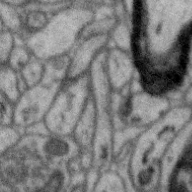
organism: Zebra finch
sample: Brain